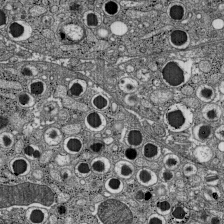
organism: C57BL Mouse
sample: Pancreatic islet